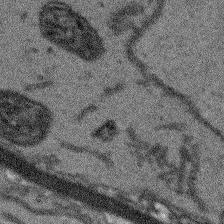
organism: Arabidopsis thaliana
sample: Root tip